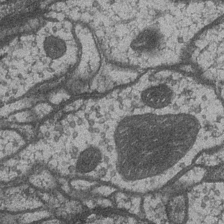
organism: Drosophila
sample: Optic medulla